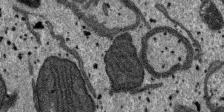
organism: Human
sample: Lung epithelial cells, uninfected (mock) control